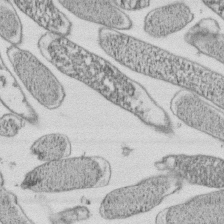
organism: E. coli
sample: Bacterial nucleoid